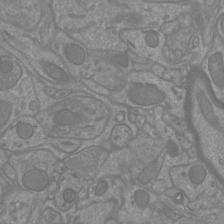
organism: Mouse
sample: Cortical neurons